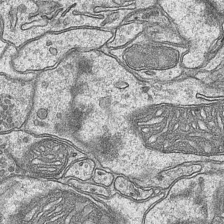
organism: Mouse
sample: CA1 Hippocampus